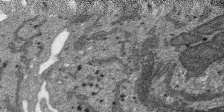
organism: Human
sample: Lung epithelial cells infected with SARS-CoV-2